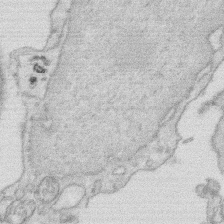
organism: Rat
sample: Salivary granule